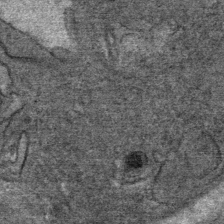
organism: Mouse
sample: Mouse Salivary gland